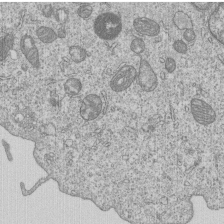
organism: Human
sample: MDA-MB-231 cells